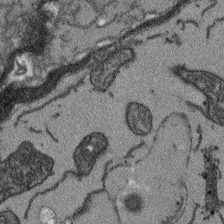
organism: Arabidopsis thaliana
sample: Root tip